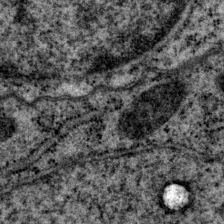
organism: P. pacificus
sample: Pharynx